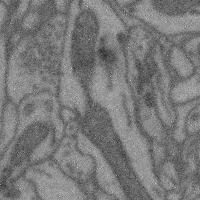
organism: Mouse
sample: Cerebral cortex